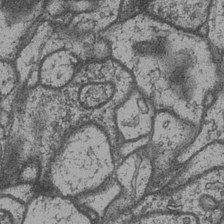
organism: Drosophila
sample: Optic medulla